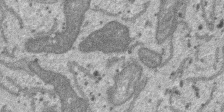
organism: Human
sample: Lung epithelial cells infected with SARS-CoV-2